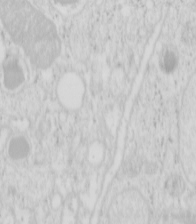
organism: Mouse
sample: Pancreas